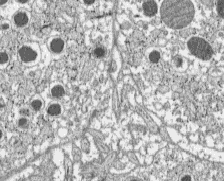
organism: C57BL Mouse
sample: Pancreatic islet